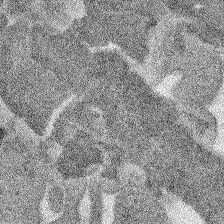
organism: Human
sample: HeLa cells